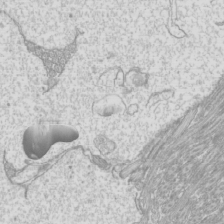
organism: Mouse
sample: Cilia; mouse epididymis